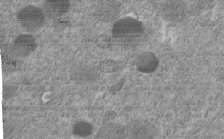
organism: C. elegans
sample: C. elegans embryo early stage